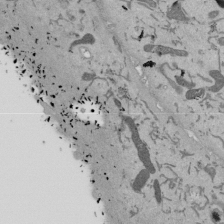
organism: Mouse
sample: ED-1 cell nuclei; centrioles